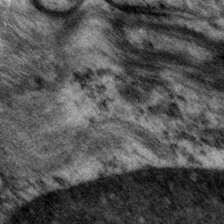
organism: P. pacificus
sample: Pharynx